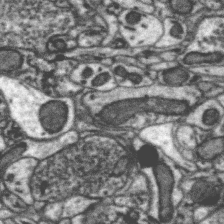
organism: Zebra finch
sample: Brain